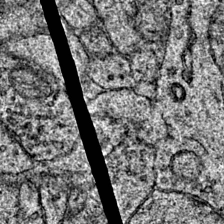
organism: Mouse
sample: Primary visual cortex